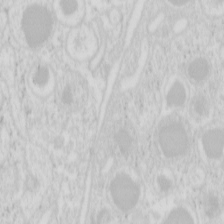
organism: Mouse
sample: Pancreas